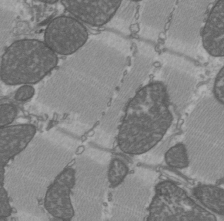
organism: C57BL Mouse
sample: Heart